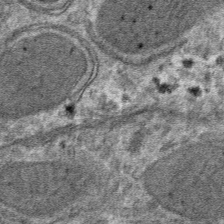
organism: Mouse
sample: Mouse hepatocytes